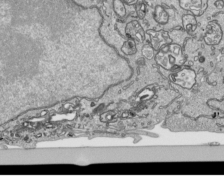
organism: Human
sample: Mitochondria in HCT116 cells